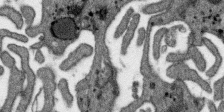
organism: Human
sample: Lung epithelial cells, uninfected (mock) control